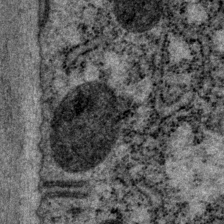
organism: P. pacificus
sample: Pharynx